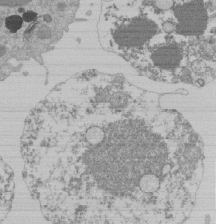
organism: Mouse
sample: Activated Pmel transgenic CD8+ T Cells